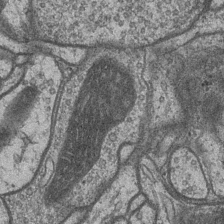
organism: Drosophila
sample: Optic medulla